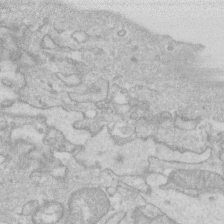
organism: Human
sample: Fibroblast cells